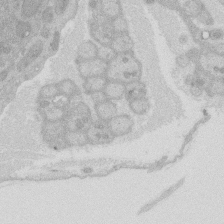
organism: Rat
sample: Salivary granule